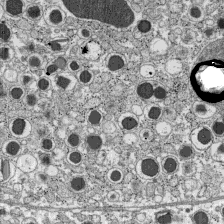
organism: C57BL Mouse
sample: Pancreatic islet